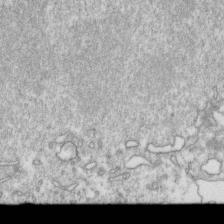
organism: Mouse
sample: Activated OT-1 CD8+ T cells